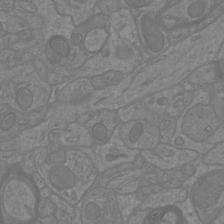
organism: Mouse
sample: Cortical neurons